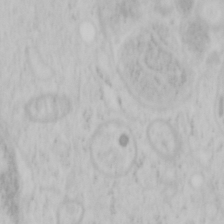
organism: Mouse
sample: OT-I killer T cells with ID8 ovarian cancer cells